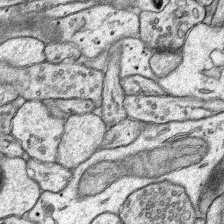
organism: Rat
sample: Hippocampus